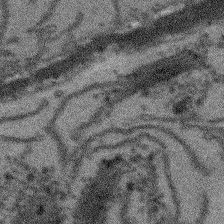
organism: Arabidopsis thaliana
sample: Root tip